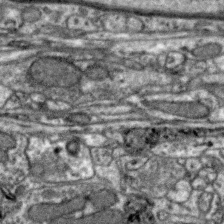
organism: Zebra finch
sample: Brain